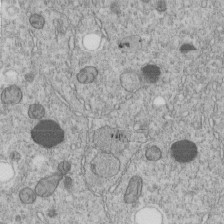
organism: C. elegans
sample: C. elegans embryo early stage